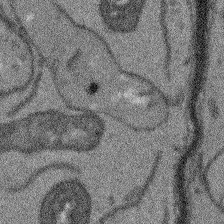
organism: Arabidopsis thaliana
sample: Root tip